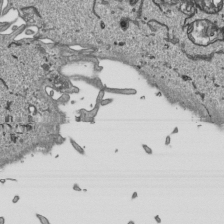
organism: Human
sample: Mitochondria in HCT116 cells